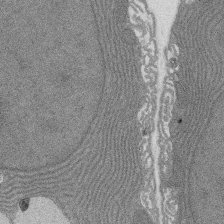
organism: Rat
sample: Salivary granule